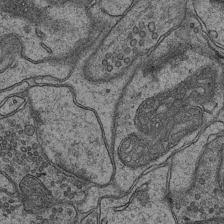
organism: Mouse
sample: CA1 Hippocampus